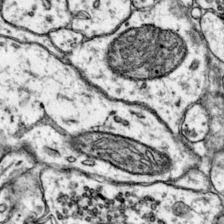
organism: Mouse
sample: Primary visual cortex